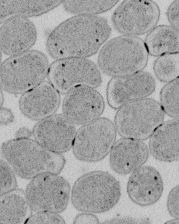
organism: E. coli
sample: Bacterial nucleoid